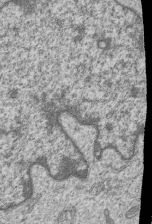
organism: Human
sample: MDA-MB-231 cells